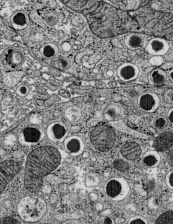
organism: C57BL Mouse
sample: Pancreatic islet